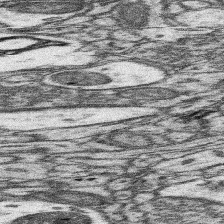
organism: Mouse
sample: Somatosensory cortex neuropil